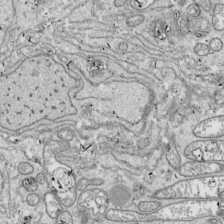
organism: Drosophila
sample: Cell division; meiosis; drosophila spermatocytes